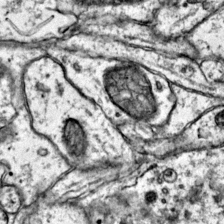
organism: Mouse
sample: Primary visual cortex